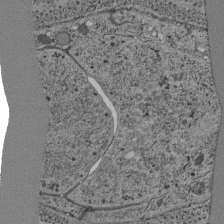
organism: C. elegans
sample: C. elegans pharynx